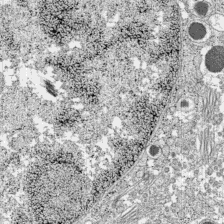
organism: C57BL Mouse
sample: Pancreatic islet